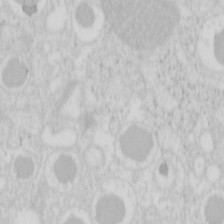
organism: Mouse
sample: Pancreas